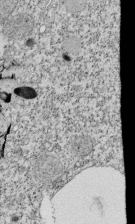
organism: Tetrahymena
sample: Cilia in tetrahymena